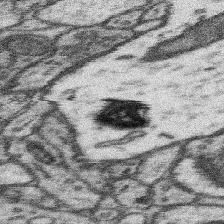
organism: Mouse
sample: Somatosensory cortex neuropil